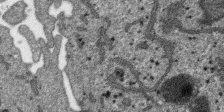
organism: Human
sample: Lung epithelial cells infected with SARS-CoV-2